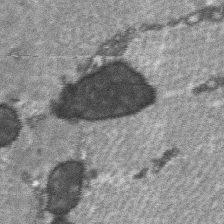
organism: C57BL Mouse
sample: Soleus